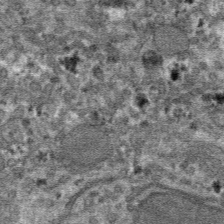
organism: Mouse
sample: Mouse hepatocytes